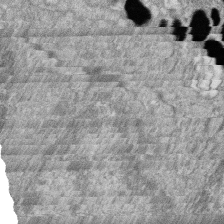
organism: Zebrafish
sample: Cilia; retinal pigment epithelium